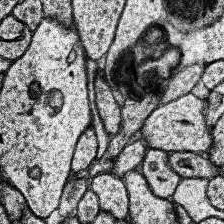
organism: Human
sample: Temporal Lobe